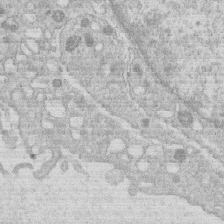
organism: Human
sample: Macrophage cells